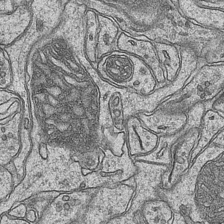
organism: Mouse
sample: CA1 Hippocampus